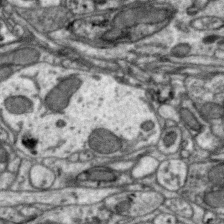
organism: Zebra finch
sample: Brain